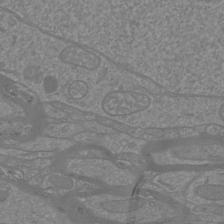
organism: Mouse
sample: Cortical neurons